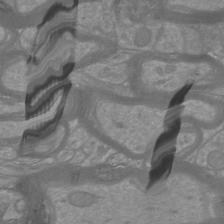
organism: Mouse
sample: Cortical neurons